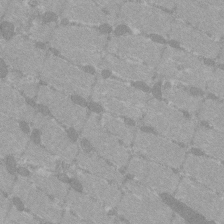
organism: C57BL Mouse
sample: Tibialis anterior muscle cell